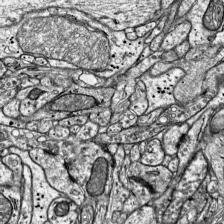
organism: Mouse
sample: Visual Cortex